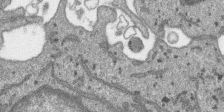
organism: Human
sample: Lung epithelial cells infected with SARS-CoV-2